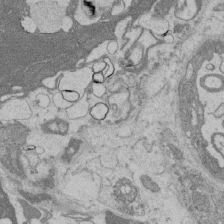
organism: Rat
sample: Salivary granule